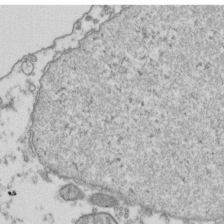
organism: Human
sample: Activated Jurkat CD4+ T cells